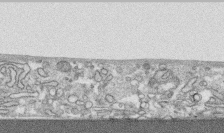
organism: Human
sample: CRL-1474